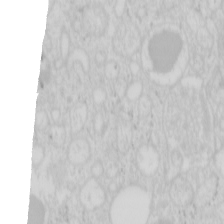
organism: Mouse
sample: Pancreas